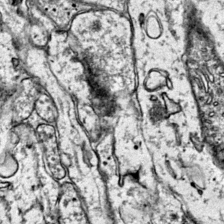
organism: Mouse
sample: Primary visual cortex